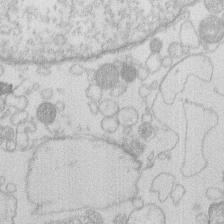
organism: Human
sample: Macrophage cells